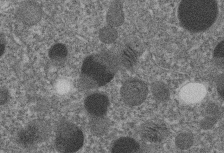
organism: C. elegans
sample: C. elegans embryo early stage